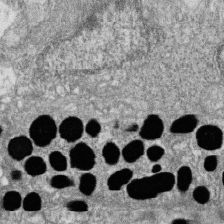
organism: Zebrafish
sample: Cilia; retinal pigment epithelium